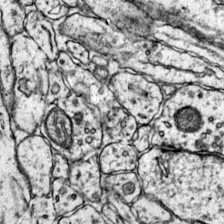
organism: Mouse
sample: Primary visual cortex